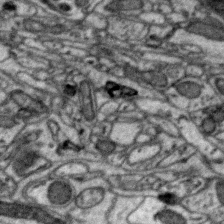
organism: Zebra finch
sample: Brain